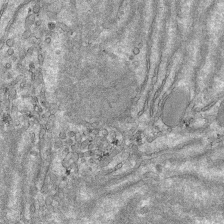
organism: Mouse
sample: Mouse hepatocytes